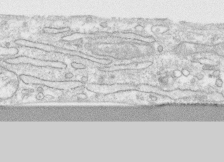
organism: Human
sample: CRL-1474